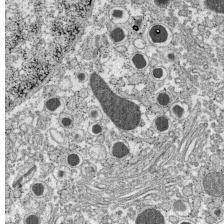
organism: C57BL Mouse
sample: Pancreatic islet